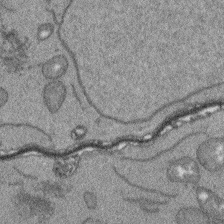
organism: Arabidopsis thaliana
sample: Root tip